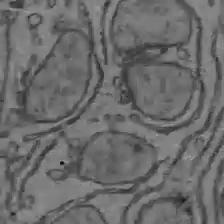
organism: C57BL Mouse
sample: Liver